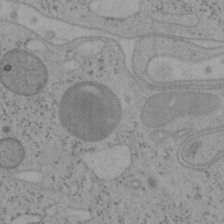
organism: Mouse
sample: OT-I killer T cells with ID8 ovarian cancer cells